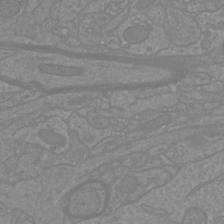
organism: Mouse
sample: Cortical neurons